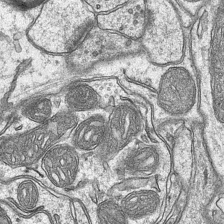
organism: Mouse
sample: CA1 Hippocampus